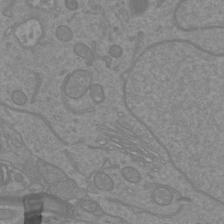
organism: Mouse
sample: Cortical neurons